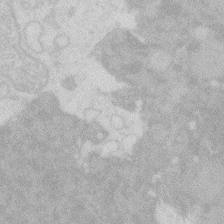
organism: Zebrafish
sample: Macrophage